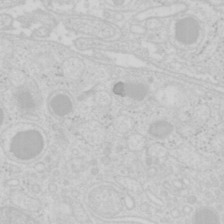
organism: Mouse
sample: Pancreas